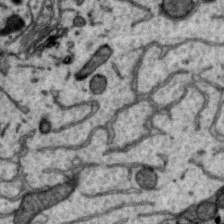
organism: Zebra finch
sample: Brain